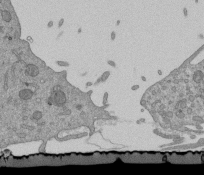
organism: Mouse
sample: ED-1 cell nuclei; centrioles